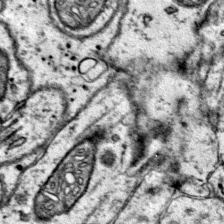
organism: Mouse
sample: Primary visual cortex